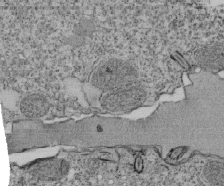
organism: Tetrahymena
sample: Cilia in tetrahymena